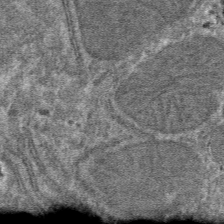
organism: Mouse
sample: Mouse hepatocytes